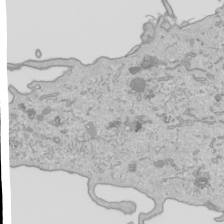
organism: Human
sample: Mitochondria in HCT116 cells